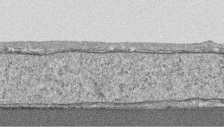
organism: Human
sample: CRL-1474